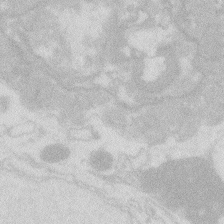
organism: Zebrafish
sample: Macrophage